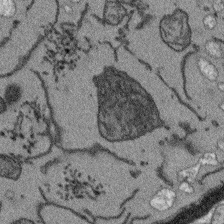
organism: Arabidopsis thaliana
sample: Root tip